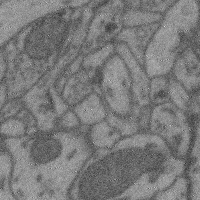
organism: Mouse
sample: Cerebral cortex